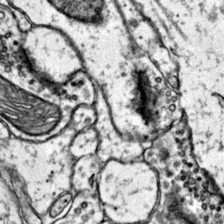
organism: Mouse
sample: Primary visual cortex